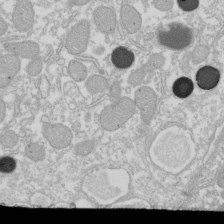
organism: Xenopus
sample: Cilia; centrioles in frog embryo cells